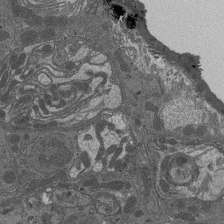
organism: Drosophila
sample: Antenna